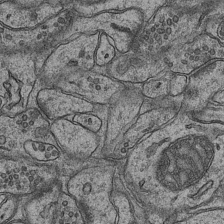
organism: Mouse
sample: CA1 Hippocampus